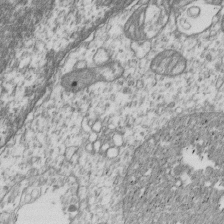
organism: Human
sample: MDA-MB-231 cells